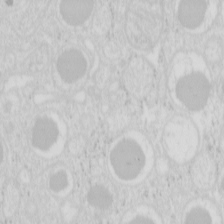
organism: Mouse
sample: Pancreas